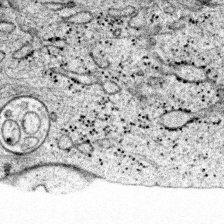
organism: Human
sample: HeLa cells